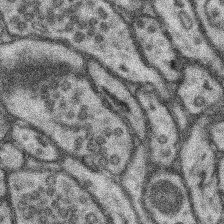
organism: Mouse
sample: Somatosensory cortex neuropil